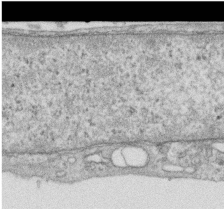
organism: Human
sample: Centriole in RPE cells